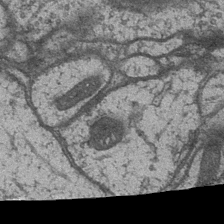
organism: Drosophila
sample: Optic medulla